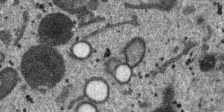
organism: Human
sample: Lung epithelial cells infected with SARS-CoV-2